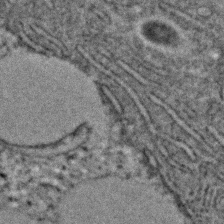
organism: C. elegans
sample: C. elegans embryo